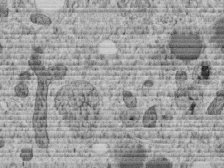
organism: C. elegans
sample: C. elegans embryo early stage